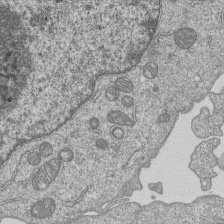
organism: Human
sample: MDA-MB-231 cells